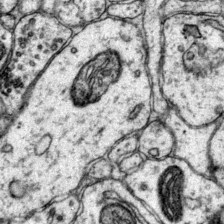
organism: Mouse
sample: Primary visual cortex